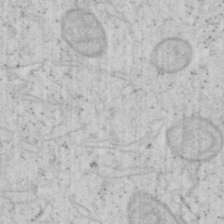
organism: Human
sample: HeLa cells